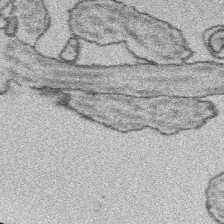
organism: Platynereis dumerilii